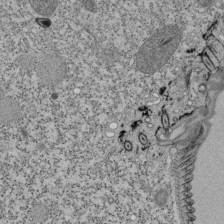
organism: Tetrahymena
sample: Cilia in tetrahymena